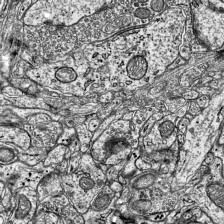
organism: Mouse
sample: Visual Cortex